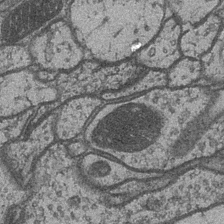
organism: Drosophila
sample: Optic medulla